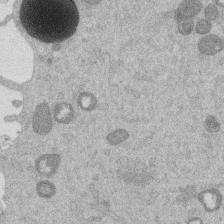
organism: Mouse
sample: Dividing mouse embryo 1 cell stage